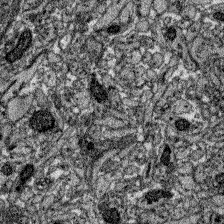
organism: Zebrafish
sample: Larval olfactory bulb